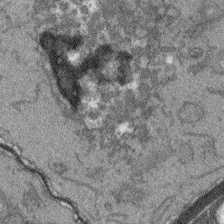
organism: Arabidopsis thaliana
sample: Root tip